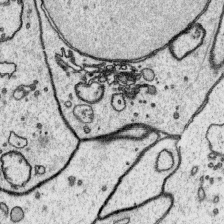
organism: Platynereis dumerilii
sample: Parapodia